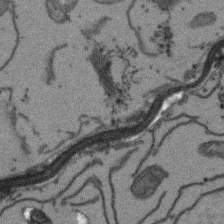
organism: Arabidopsis thaliana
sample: Root tip